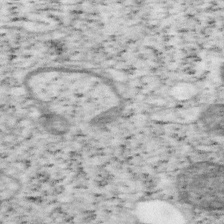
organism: Mouse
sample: OT-I killer T cells with ID8 ovarian cancer cells